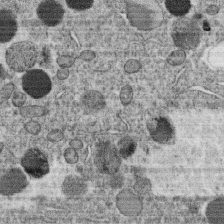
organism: C. elegans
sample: C. elegans oocyte; sperm cells